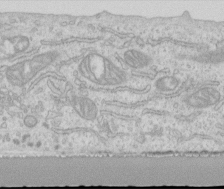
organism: Human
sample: Centriole in RPE cells